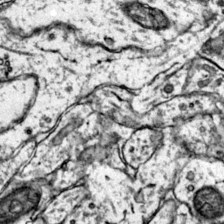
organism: Mouse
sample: Primary visual cortex